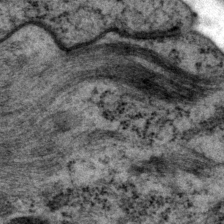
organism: P. pacificus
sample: Pharynx